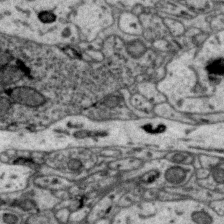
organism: Zebra finch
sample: Brain